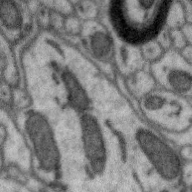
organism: Zebra finch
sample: Brain